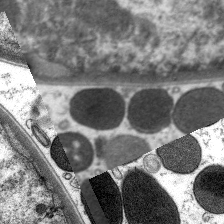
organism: C. elegans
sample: Pharynx